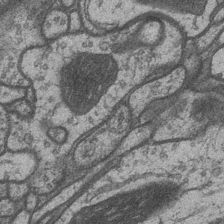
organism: Drosophila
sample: Optic medulla